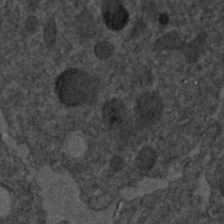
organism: C. elegans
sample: C. elegans embryo